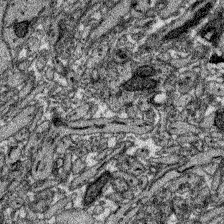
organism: Zebrafish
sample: Larval olfactory bulb